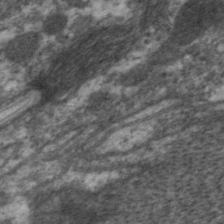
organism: C. elegans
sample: Pharynx